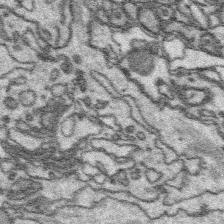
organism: Platynereis dumerilii